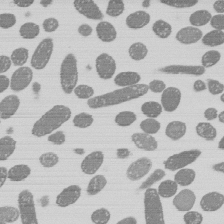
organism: E. coli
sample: Bacterial nucleoid